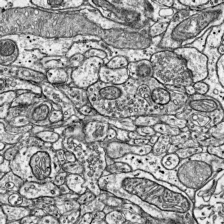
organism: Mouse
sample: Visual Cortex